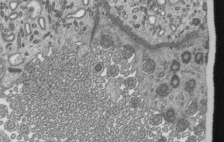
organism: Mouse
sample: Mouse epididymis efferent ductule cilia